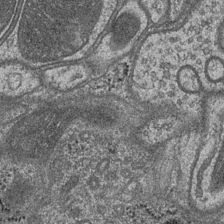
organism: Drosophila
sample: Optic medulla